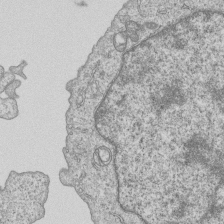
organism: Human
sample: MDA-MB-231 cells